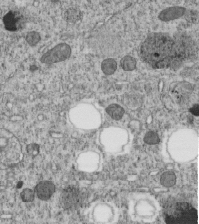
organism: C. elegans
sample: C. elegans embryo early stage